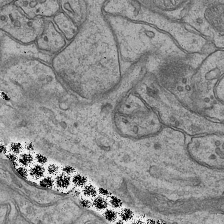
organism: Mouse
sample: CA1 Hippocampus